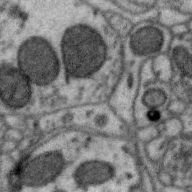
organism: Zebra finch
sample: Brain